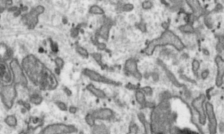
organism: Toxoplasma gondii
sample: Parasites in a vacuole inside a host cell